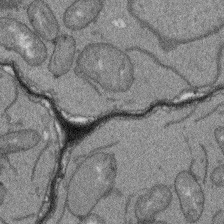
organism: Arabidopsis thaliana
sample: Root tip